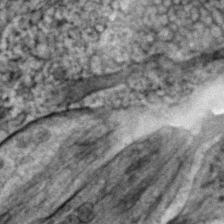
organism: Zebrafish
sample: Zebrafish embryo